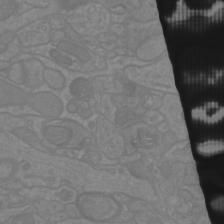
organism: Mouse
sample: Cortical neurons